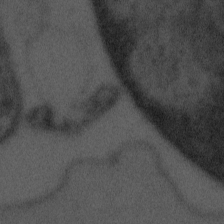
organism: Tuwongella immobilis